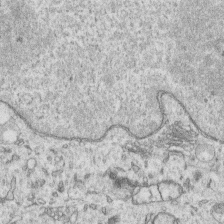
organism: Human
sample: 1205lu cells